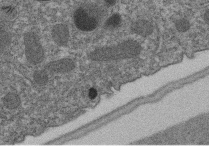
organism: C. elegans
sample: C. elegans embryo early stage